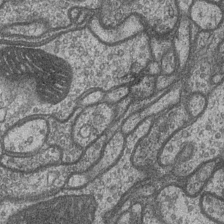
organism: Drosophila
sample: Optic medulla